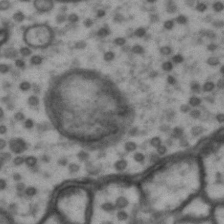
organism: Drosophila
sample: Brain